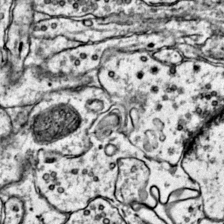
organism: Mouse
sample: Primary visual cortex